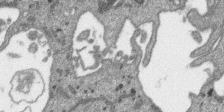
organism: Human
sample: Lung epithelial cells infected with SARS-CoV-2